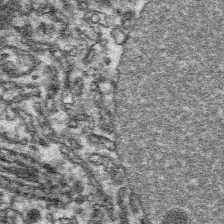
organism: Platynereis dumerilii